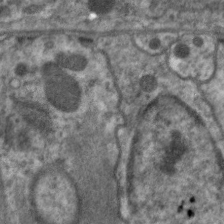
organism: C. elegans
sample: Pharynx